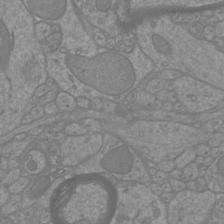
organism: Mouse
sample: Cortical neurons